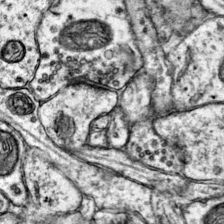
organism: Mouse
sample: Primary visual cortex